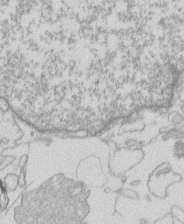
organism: Human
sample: Macrophage cells